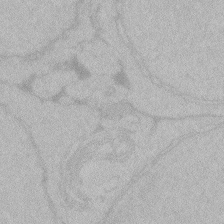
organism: Zebrafish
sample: Macrophage infected with Toxoplasma gondii